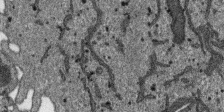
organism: Human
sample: Lung epithelial cells infected with SARS-CoV-2